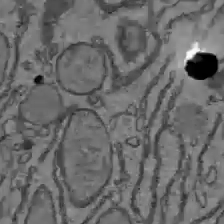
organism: C57BL Mouse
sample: Liver